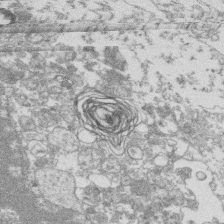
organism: Human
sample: HeLa cell HIV synapse